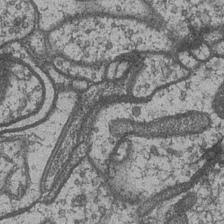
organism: Drosophila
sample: Optic medulla